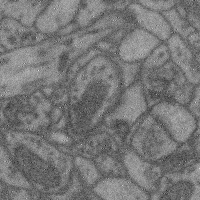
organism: Mouse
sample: Cerebral cortex